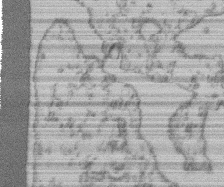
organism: Mouse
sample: T cell stromal cell synapse